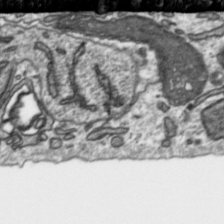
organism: Toxoplasma gondii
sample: Parasites in a vacuole inside a host cell